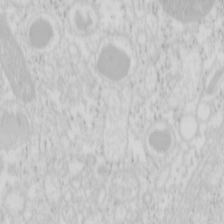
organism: Mouse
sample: Pancreas